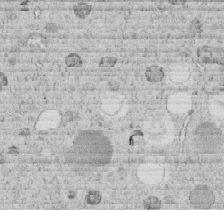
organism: C. elegans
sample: C. elegans embryo early stage